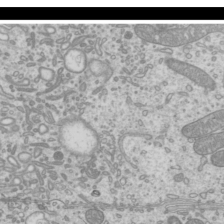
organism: Mouse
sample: Cilia; mouse epididymis